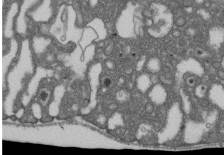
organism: Drosophila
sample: Nephrocyte